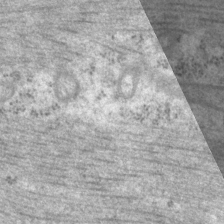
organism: P. pacificus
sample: Pharynx